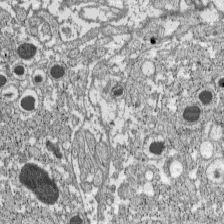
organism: C57BL Mouse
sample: Pancreatic islet